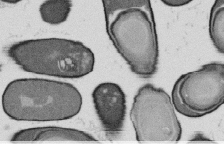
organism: B. subtilis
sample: Bacterial spore